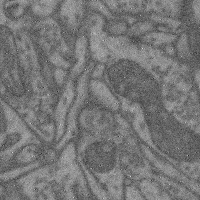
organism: Mouse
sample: Cerebral cortex